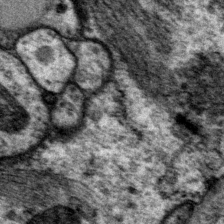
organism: P. pacificus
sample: Pharynx